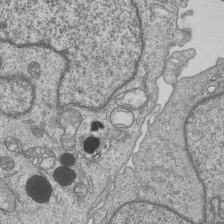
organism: Human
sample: MDA-MB-231 cells